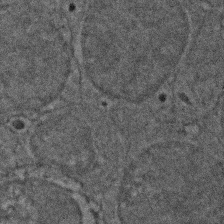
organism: Zebrafish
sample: Zebrafish embryo